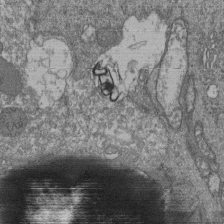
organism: Human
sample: Retinal organoid Rod and Cone cells